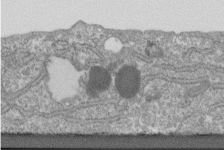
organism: Human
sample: Centriole in fibroblast cells